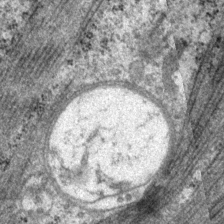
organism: P. pacificus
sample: Pharynx